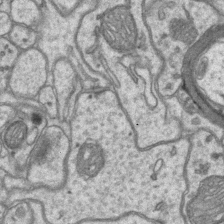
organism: Mouse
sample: CA1 Hippocampus